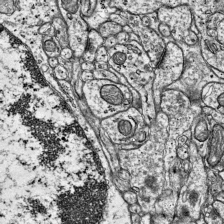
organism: Mouse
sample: Visual Cortex